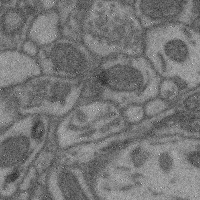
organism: Mouse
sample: Cerebral cortex